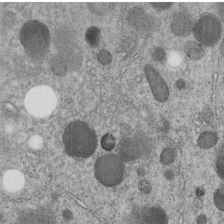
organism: C. elegans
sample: C. elegans embryo early stage